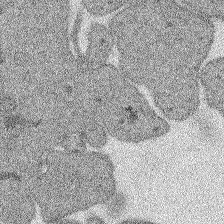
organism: Human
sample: HeLa cells